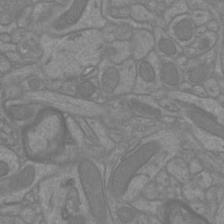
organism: Mouse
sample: Cortical neurons